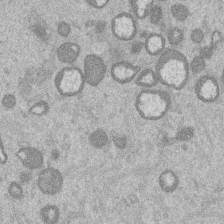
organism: Mouse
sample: Dividing mouse embryo 1 cell stage